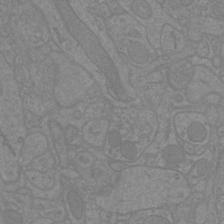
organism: Mouse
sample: Cortical neurons